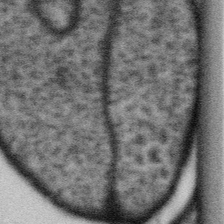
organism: Gemmata obscuriglobus